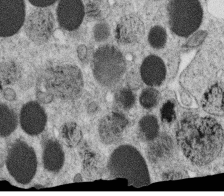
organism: C. elegans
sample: C. elegans oocyte; sperm cells